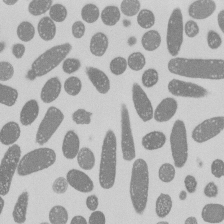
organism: E. coli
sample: Bacterial nucleoid